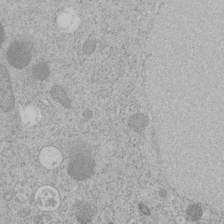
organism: C. elegans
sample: C. elegans embryo early stage